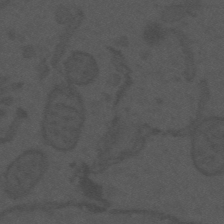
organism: Mouse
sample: Suprachiasmatic nucleus